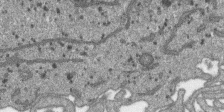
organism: Human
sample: Lung epithelial cells infected with SARS-CoV-2